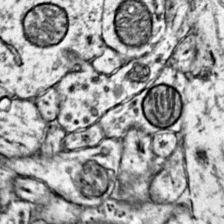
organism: Mouse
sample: Primary visual cortex